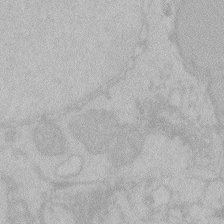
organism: Zebrafish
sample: Macrophage infected with Toxoplasma gondii